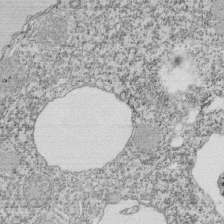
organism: Tetrahymena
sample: Cilia in tetrahymena